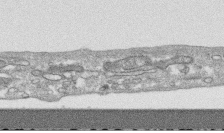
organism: Human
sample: CRL-1474